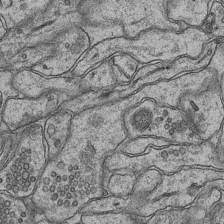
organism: Mouse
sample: CA1 Hippocampus